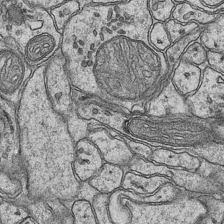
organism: Mouse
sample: CA1 Hippocampus